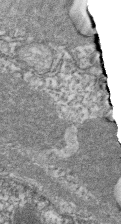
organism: Zebrafish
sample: Cilia; retinal pigment epithelium